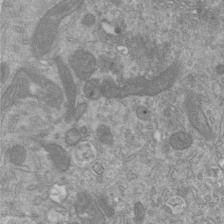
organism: Mouse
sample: ED-1 cell nuclei; centrioles